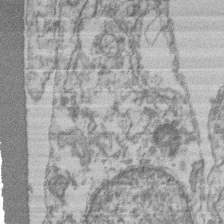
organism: Mouse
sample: T cell stromal cell synapse